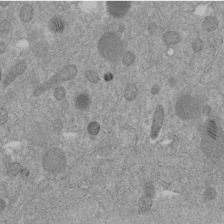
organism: C. elegans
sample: C. elegans embryo early stage